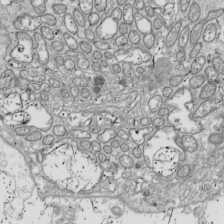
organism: Drosophila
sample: Cell division; meiosis; drosophila spermatocytes